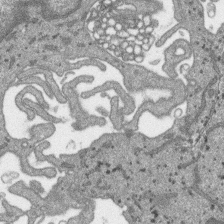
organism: Human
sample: Lung epithelial cells infected with SARS-CoV-2